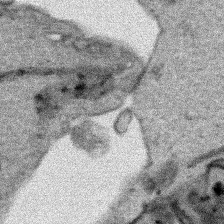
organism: Human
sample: Mitochondria in HCT116 cells